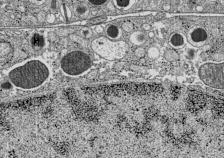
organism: C57BL Mouse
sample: Pancreatic islet